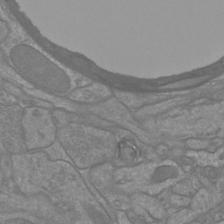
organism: Mouse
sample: Cortical neurons